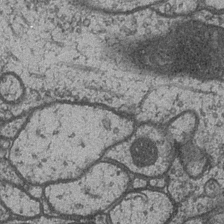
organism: Drosophila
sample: Optic medulla